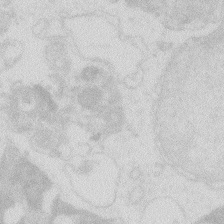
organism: Zebrafish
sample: Macrophage